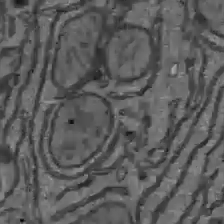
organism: C57BL Mouse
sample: Liver